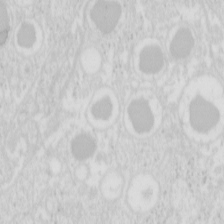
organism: Mouse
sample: Pancreas